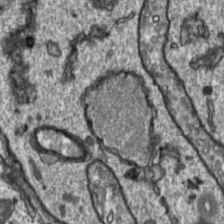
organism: Toxoplasma gondii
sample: Parasites in a vacuole inside a host cell